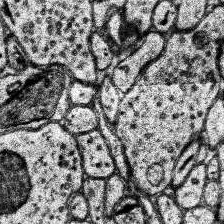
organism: Human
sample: Temporal Lobe